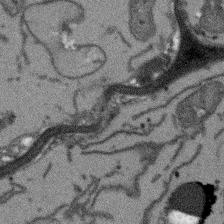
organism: Arabidopsis thaliana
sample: Root tip